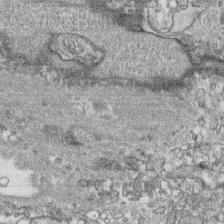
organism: Human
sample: CRL-1474